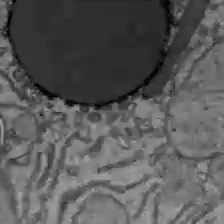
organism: C57BL Mouse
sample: Liver